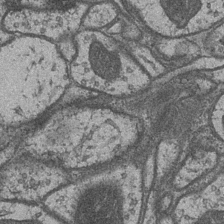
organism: Drosophila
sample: Optic medulla